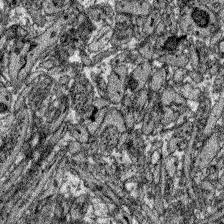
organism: Zebrafish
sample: Larval olfactory bulb